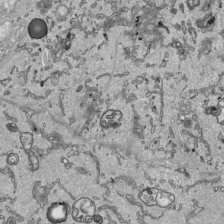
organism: Human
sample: Mitochondria in HCT116 cells